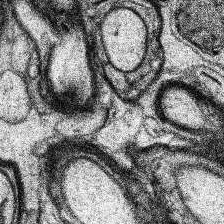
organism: Human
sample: Temporal Lobe